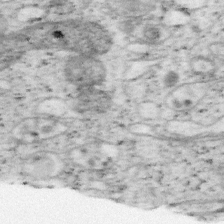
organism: Mouse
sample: OT-I killer T cells with ID8 ovarian cancer cells